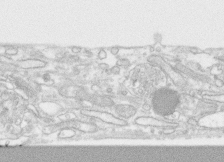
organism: Human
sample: CRL-1474